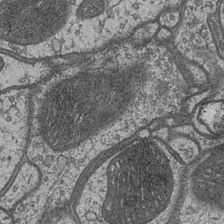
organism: Drosophila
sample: Optic medulla